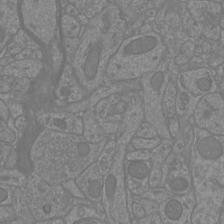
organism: Mouse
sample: Cortical neurons